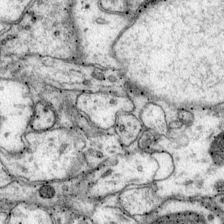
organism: Mouse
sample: Primary visual cortex